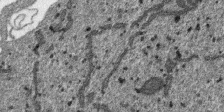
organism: Human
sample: Lung epithelial cells infected with SARS-CoV-2